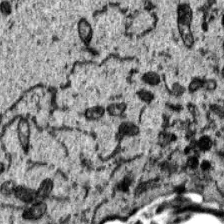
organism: Human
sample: HeLa cells